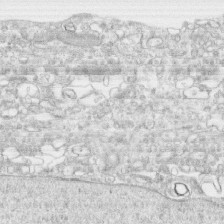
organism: Human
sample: CRL-1474